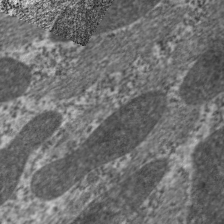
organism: C. elegans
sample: Pharynx